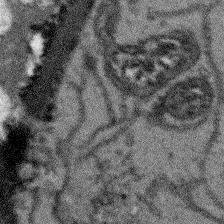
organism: Arabidopsis thaliana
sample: Root tip